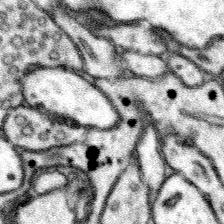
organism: Mouse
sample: Somatosensory cortex neuropil